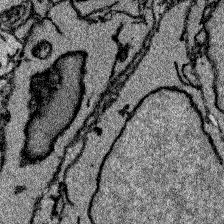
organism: Zebrafish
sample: Larval olfactory bulb